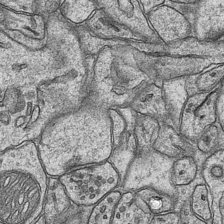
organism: Mouse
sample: CA1 Hippocampus